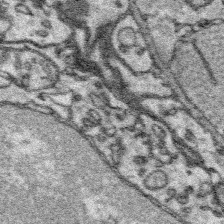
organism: Platynereis dumerilii